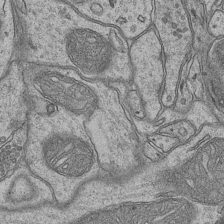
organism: Mouse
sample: CA1 Hippocampus